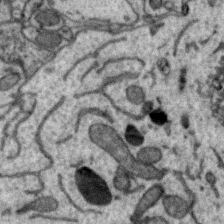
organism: Zebra finch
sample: Brain